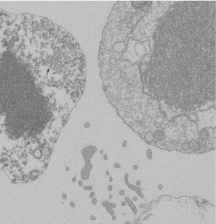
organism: Mouse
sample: Activated Pmel transgenic CD8+ T Cells